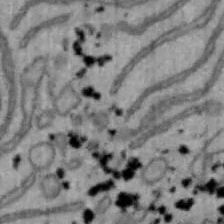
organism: Mouse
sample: Liver